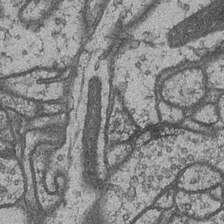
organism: Drosophila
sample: Optic medulla